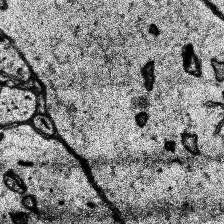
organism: Human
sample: Temporal Lobe